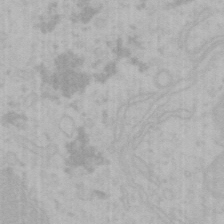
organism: Mouse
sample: Choroid plexus